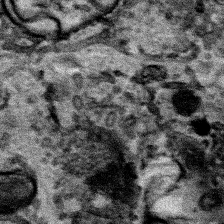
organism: Human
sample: Mitochondria in HCT116 cells